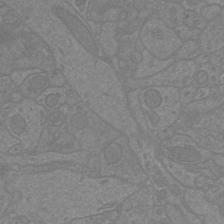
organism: Mouse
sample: Cortical neurons